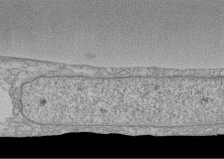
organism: Human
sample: CRL-1474